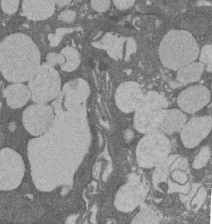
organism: Rat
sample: Salivary granule